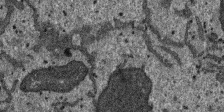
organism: Human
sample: Lung epithelial cells infected with SARS-CoV-2